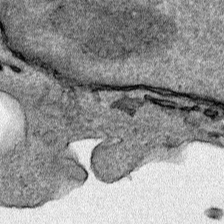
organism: Human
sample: Mitochondria in HCT116 cells